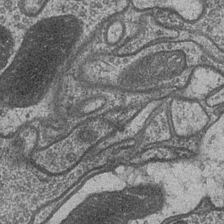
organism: Drosophila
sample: Optic medulla